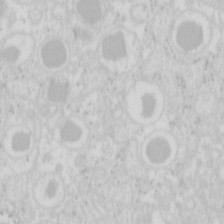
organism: Mouse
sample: Pancreas